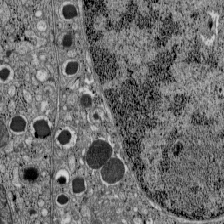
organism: C57BL Mouse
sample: Pancreatic islet